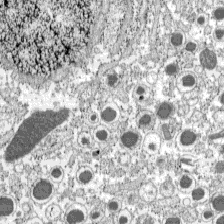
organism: C57BL Mouse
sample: Pancreatic islet